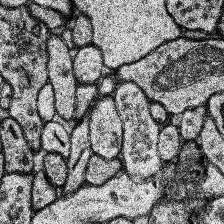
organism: Human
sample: Temporal Lobe